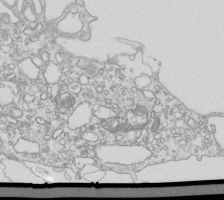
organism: Mouse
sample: Macrophages